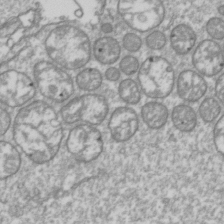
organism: Drosophila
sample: Cell division; meiosis; drosophila spermatocytes